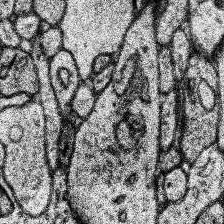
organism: Human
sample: Temporal Lobe